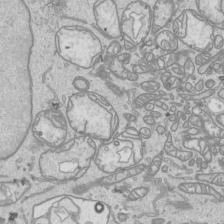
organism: Human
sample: Mitochondria in HCT116 cells